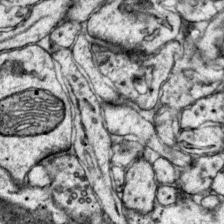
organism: Mouse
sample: Primary visual cortex